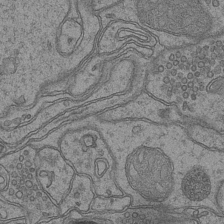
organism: Mouse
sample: CA1 Hippocampus